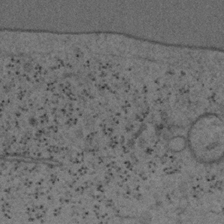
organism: Human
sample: HeLa cells